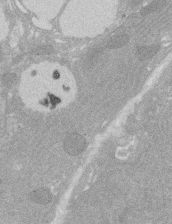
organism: Rat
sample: Salivary granule